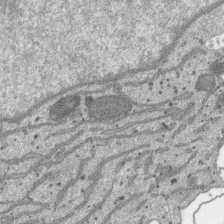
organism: Human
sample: Lung epithelial cells infected with SARS-CoV-2